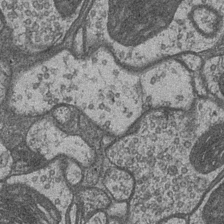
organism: Drosophila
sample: Optic medulla